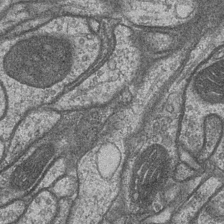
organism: Drosophila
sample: Optic medulla